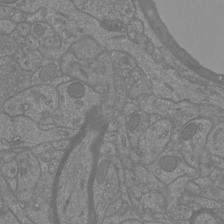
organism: Mouse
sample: Cortical neurons